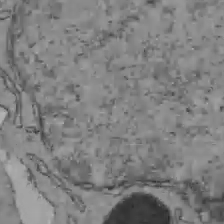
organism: C57BL Mouse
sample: Liver